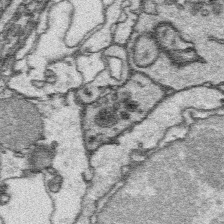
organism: Platynereis dumerilii